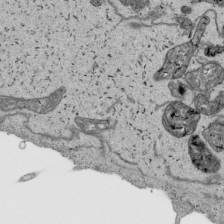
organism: Human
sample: Mitochondria in HCT116 cells